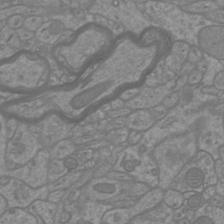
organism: Mouse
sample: Cortical neurons